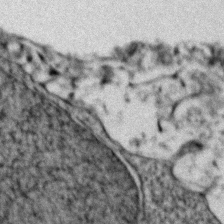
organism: Zebrafish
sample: Zebrafish embryo